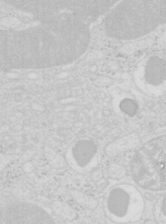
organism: Mouse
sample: Pancreas